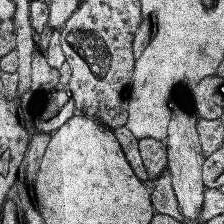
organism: Human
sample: Temporal Lobe